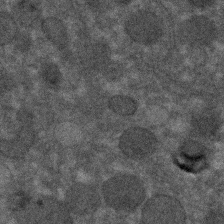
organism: C. elegans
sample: C. elegans embryo